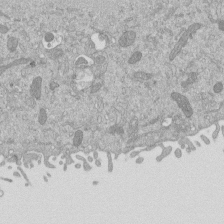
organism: Mouse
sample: ED-1 cell nuclei; centrioles